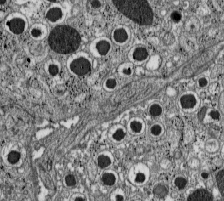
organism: C57BL Mouse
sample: Pancreatic islet